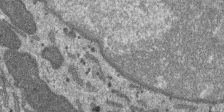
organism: Human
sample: Lung epithelial cells infected with SARS-CoV-2